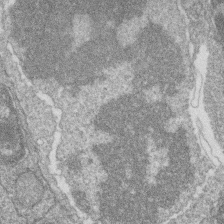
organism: Zebrafish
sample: Cilia; retinal pigment epithelium